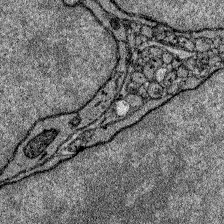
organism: Zebrafish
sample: Larval olfactory bulb